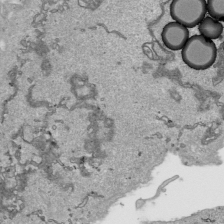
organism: Human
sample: Mitochondria in HCT116 cells